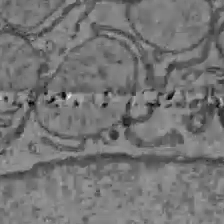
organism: C57BL Mouse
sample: Liver